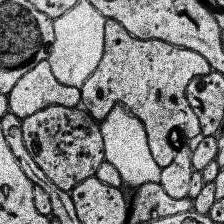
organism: Human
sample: Temporal Lobe